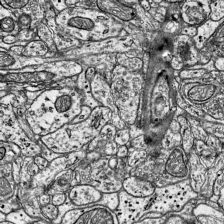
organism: Mouse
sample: Visual Cortex